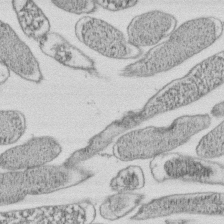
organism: E. coli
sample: Bacterial nucleoid